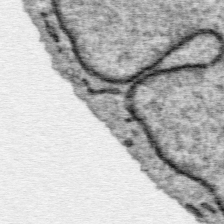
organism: Human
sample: HeLa cells